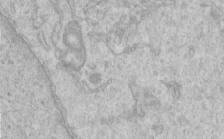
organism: Human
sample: Centriole in RPE cells